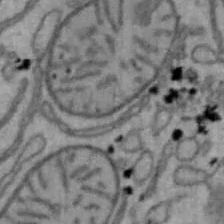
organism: Mouse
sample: Liver